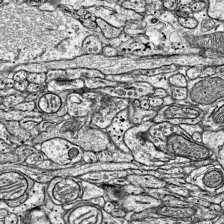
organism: Mouse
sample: Visual Cortex